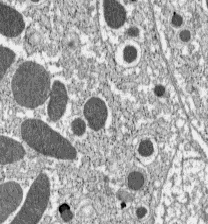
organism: C57BL Mouse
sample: Pancreatic islet